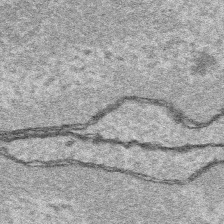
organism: Platynereis dumerilii